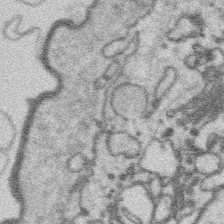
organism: Platynereis dumerilii